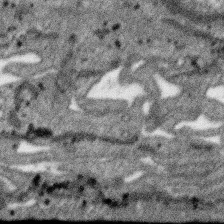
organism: Human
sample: Lung epithelial cells infected with SARS-CoV-2